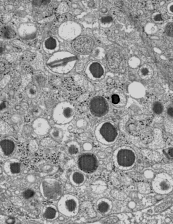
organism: C57BL Mouse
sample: Pancreatic islet